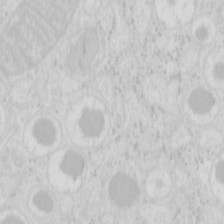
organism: Mouse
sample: Pancreas